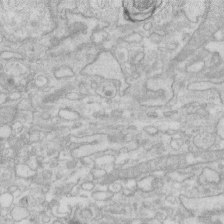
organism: Human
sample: Fibroblast cells